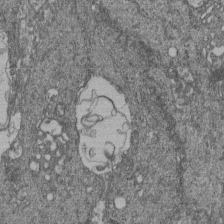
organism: Human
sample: Retinal organoid Rod and Cone cells